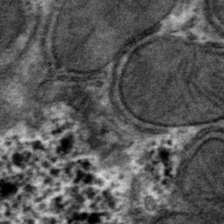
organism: Mouse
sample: Mouse hepatocytes